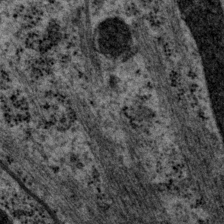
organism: P. pacificus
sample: Pharynx